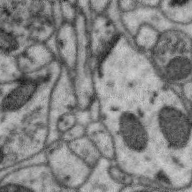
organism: Zebra finch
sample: Brain